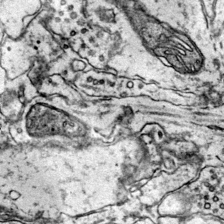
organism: Mouse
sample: Primary visual cortex